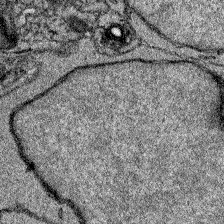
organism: Zebrafish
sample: Larval olfactory bulb